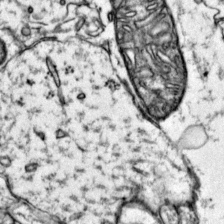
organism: Mouse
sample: Primary visual cortex